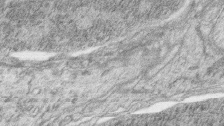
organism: Zebrafish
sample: synaptic ribbons in rod cells and cone cells